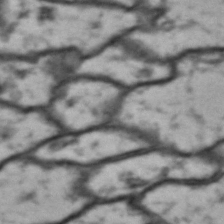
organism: Drosophila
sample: Brain